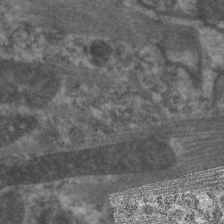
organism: C. elegans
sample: Pharynx